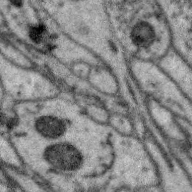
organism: Zebra finch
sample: Brain